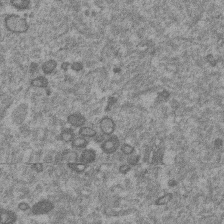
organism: Mouse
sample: Dividing mouse embryo 1 cell stage